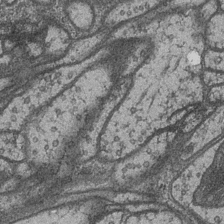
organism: Drosophila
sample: Optic medulla